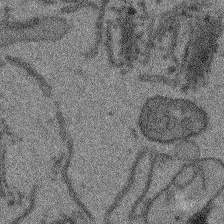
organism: Arabidopsis thaliana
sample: Root tip